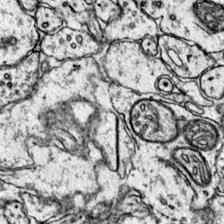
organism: Mouse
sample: Primary visual cortex